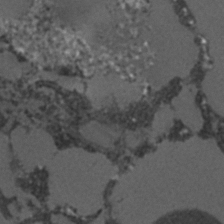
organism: C. elegans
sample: C. elegans embryo